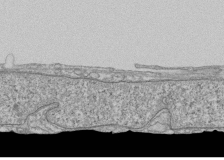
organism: Human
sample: Fibroblast cells